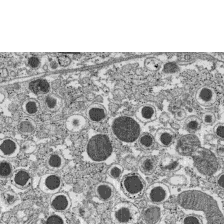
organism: C57BL Mouse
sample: Pancreatic islet